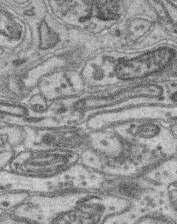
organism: Mouse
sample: Retina